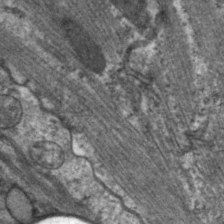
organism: C. elegans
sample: Pharynx